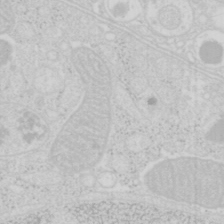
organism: Mouse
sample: Pancreas